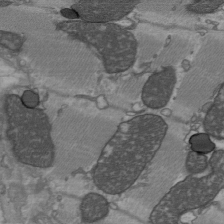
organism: C57BL Mouse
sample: Heart